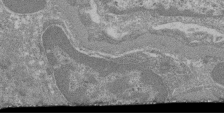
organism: Mouse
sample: Glomerulus